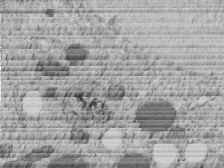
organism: C. elegans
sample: C. elegans embryo early stage